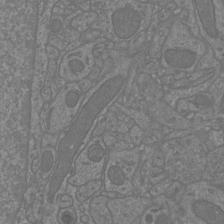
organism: Mouse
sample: Cortical neurons